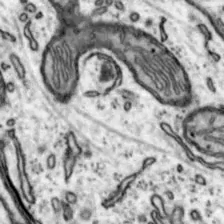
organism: Mouse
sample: Nucleus accumbens